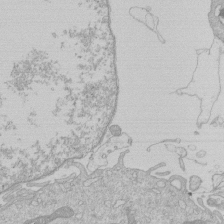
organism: Human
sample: Macrophage cells